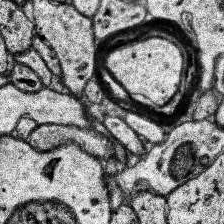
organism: Human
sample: Temporal Lobe